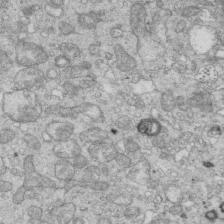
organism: Mouse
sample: Multiciliated cells